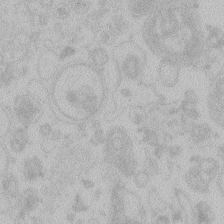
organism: Zebrafish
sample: Macrophage infected with Toxoplasma gondii